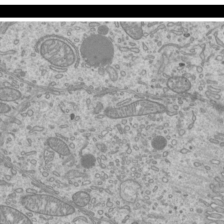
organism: Mouse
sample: Cilia; mouse epididymis